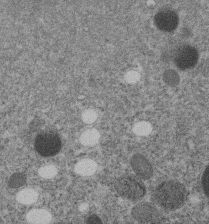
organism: C. elegans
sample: C. elegans embryo early stage